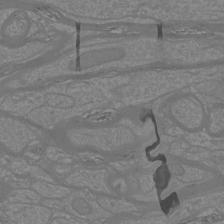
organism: Mouse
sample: Cortical neurons